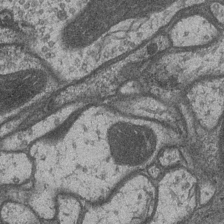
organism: Drosophila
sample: Optic medulla